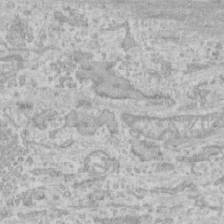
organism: Human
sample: CRL-1474